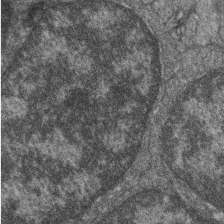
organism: Zebrafish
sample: Cilia; retinal pigment epithelium